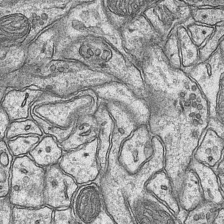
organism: Mouse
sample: CA1 Hippocampus